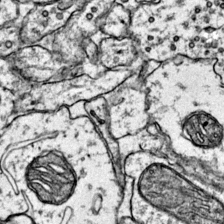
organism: Mouse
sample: Primary visual cortex